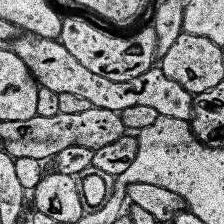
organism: Human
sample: Temporal Lobe